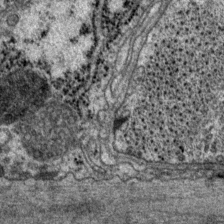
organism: P. pacificus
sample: Pharynx